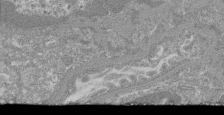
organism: Mouse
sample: Glomerulus